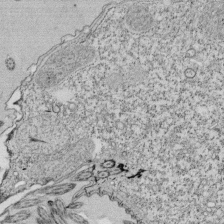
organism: Tetrahymena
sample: Cilia in tetrahymena